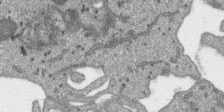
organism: Human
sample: Lung epithelial cells infected with SARS-CoV-2